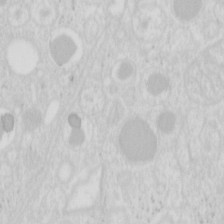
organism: Mouse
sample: Pancreas